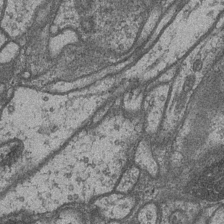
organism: Drosophila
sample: Optic medulla